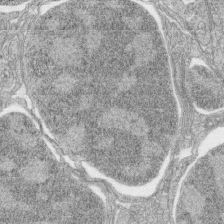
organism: Zebrafish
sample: synaptic ribbons in rod cells and cone cells